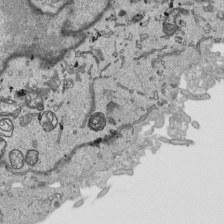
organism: Human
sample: Mitochondria in HCT116 cells